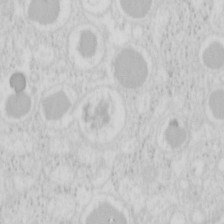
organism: Mouse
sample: Pancreas